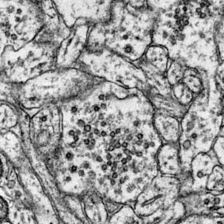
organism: Mouse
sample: Primary visual cortex